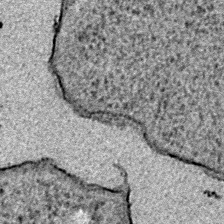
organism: E. coli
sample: E. Coli Bacteria